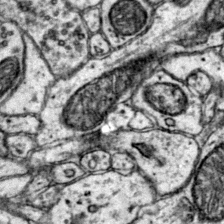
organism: Mouse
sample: Primary visual cortex